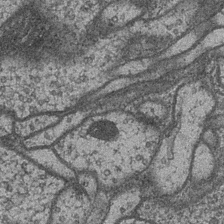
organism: Drosophila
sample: Optic medulla